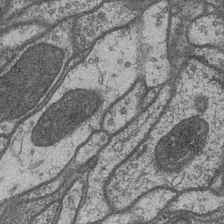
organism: Drosophila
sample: Optic medulla